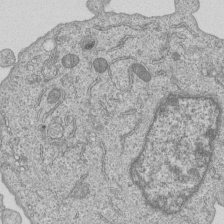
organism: Human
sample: MDA-MB-231 cells